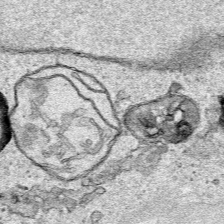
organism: Human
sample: Mitochondria in HCT116 cells